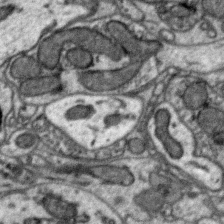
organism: Zebra finch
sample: Brain